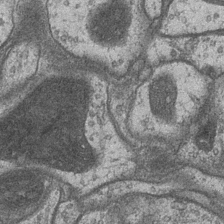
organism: Drosophila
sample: Optic medulla